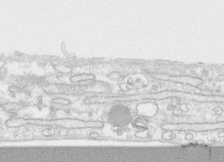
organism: Human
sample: CRL-1474